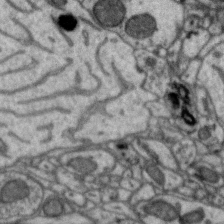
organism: Zebra finch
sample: Brain